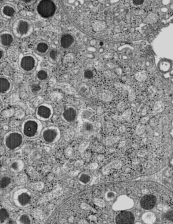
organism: C57BL Mouse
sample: Pancreatic islet